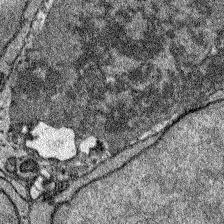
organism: Zebrafish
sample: Larval olfactory bulb